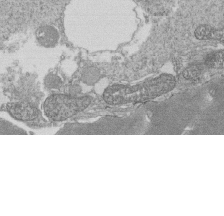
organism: Tetrahymena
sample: Cilia in tetrahymena